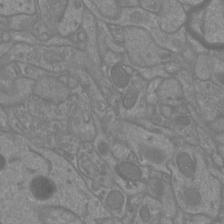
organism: Mouse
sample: Cortical neurons